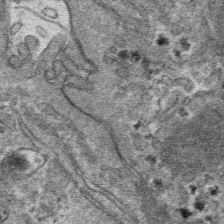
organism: Mouse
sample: Mouse hepatocytes